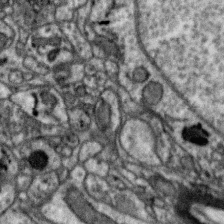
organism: Zebra finch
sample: Brain